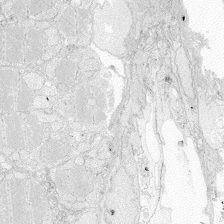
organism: Zebrafish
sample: Whole-Brain